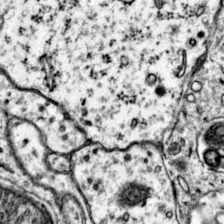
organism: Mouse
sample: Primary visual cortex